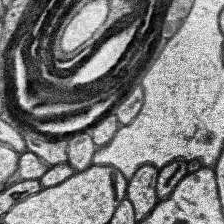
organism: Human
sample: Temporal Lobe